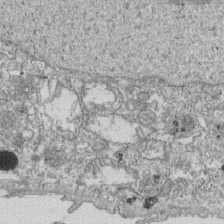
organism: Human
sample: HeLa cell HIV synapse